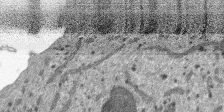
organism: Human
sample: Lung epithelial cells infected with SARS-CoV-2